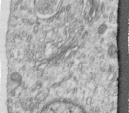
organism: Human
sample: Centriole in RPE cells